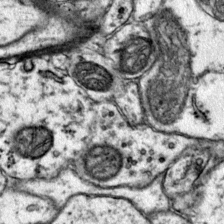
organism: Mouse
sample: Primary visual cortex